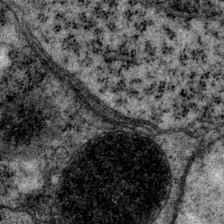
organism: P. pacificus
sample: Pharynx